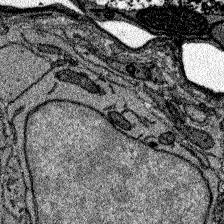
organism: Zebrafish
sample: Larval olfactory bulb